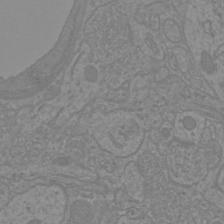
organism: Mouse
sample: Cortical neurons